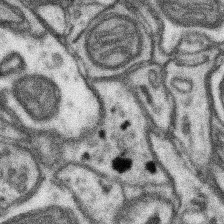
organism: Mouse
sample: Somatosensory cortex neuropil